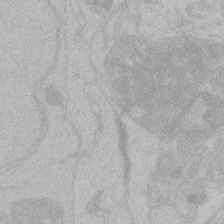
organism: Zebrafish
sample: Macrophage infected with Toxoplasma gondii